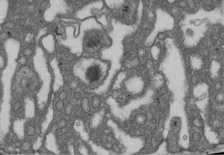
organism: Drosophila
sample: Nephrocyte